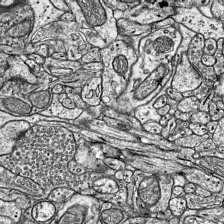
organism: Mouse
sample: Visual Cortex